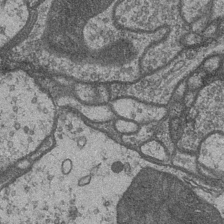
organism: Drosophila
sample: Optic medulla